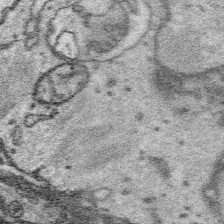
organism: Platynereis dumerilii